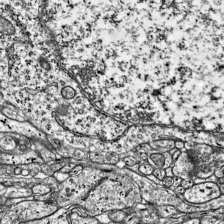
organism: Mouse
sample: Visual Cortex